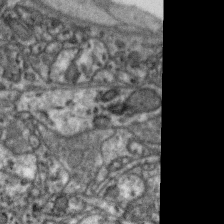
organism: Zebra finch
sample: Brain